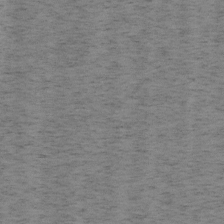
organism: Mouse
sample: OT-I killer T cells with ID8 ovarian cancer cells